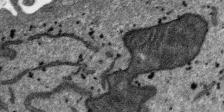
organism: Human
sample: Lung epithelial cells, uninfected (mock) control